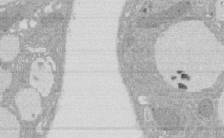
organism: Rat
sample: Salivary granule